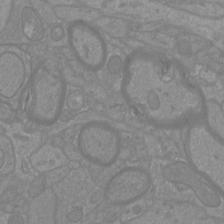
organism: Mouse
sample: Cortical neurons